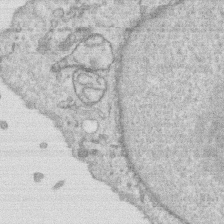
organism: Human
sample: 1205lu cells